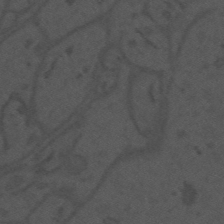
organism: Mouse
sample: Suprachiasmatic nucleus